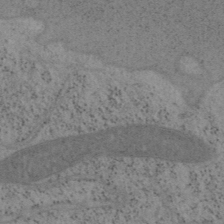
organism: Mouse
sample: OT-I killer T cells with ID8 ovarian cancer cells